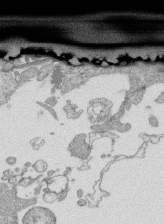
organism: Human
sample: HeLa cell HIV synapse